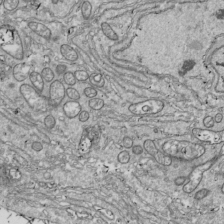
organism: Drosophila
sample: Cell division; meiosis; drosophila spermatocytes